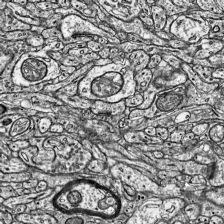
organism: Mouse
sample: Visual Cortex